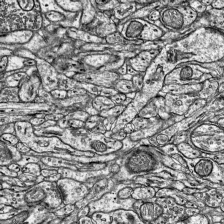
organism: Mouse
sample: Visual Cortex